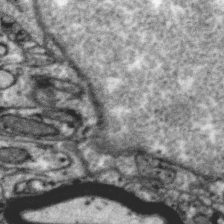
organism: Zebra finch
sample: Brain